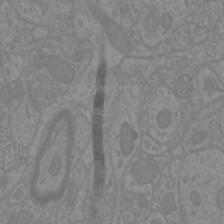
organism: Mouse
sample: Cortical neurons